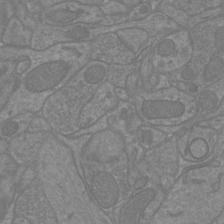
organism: Mouse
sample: Cortical neurons